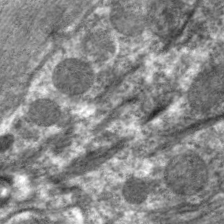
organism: C. elegans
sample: Pharynx